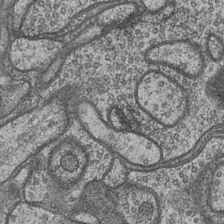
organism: Drosophila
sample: Optic medulla